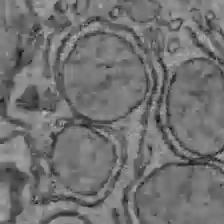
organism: C57BL Mouse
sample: Liver